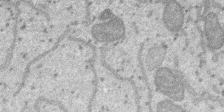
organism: Human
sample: Lung epithelial cells infected with SARS-CoV-2